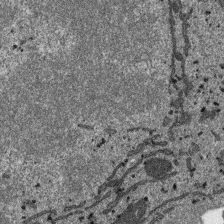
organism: Human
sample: Lung epithelial cells infected with SARS-CoV-2